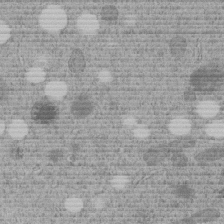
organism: C. elegans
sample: C. elegans embryo early stage